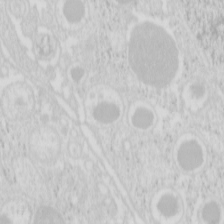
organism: Mouse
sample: Pancreas